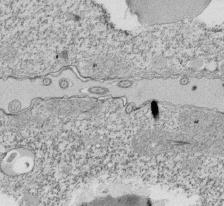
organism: Tetrahymena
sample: Cilia in tetrahymena